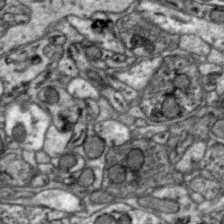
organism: Zebra finch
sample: Brain